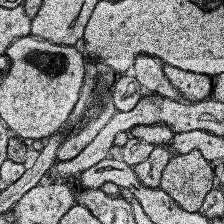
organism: Human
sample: Temporal Lobe